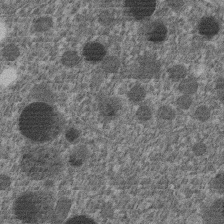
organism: C. elegans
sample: C. elegans embryo early stage